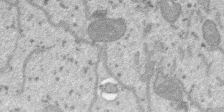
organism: Human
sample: Lung epithelial cells infected with SARS-CoV-2